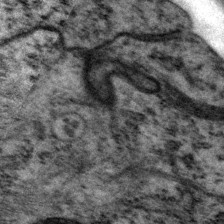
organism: P. pacificus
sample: Pharynx